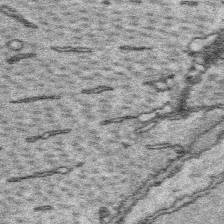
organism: Platynereis dumerilii